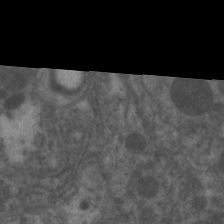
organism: C. elegans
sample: Pharynx